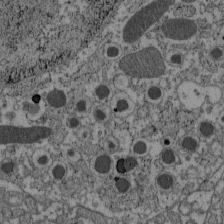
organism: C57BL Mouse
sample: Pancreatic islet